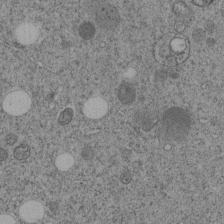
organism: C. elegans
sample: C. elegans embryo early stage